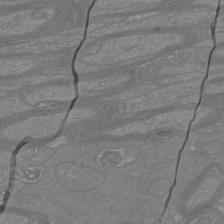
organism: Mouse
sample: Cortical neurons